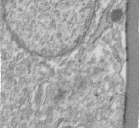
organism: Human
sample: Centriole in fibroblast cells